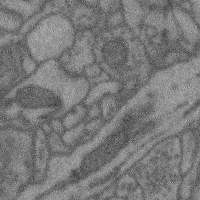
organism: Mouse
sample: Cerebral cortex